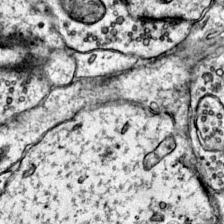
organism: Mouse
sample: Primary visual cortex